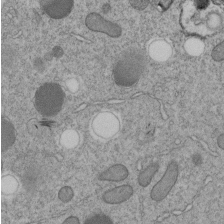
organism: C. elegans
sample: C. elegans embryo early stage